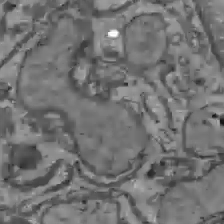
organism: C57BL Mouse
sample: Liver